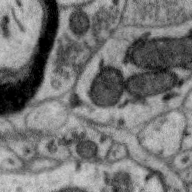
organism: Zebra finch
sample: Brain